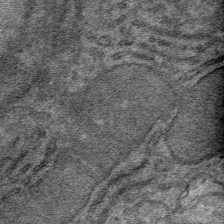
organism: Mouse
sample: Mouse Salivary gland